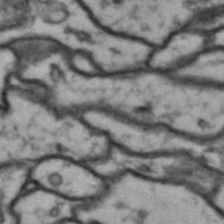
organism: Drosophila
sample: Brain